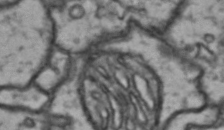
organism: Drosophila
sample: Brain